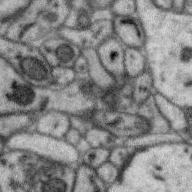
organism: Zebra finch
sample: Brain